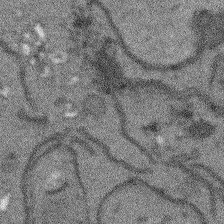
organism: Arabidopsis thaliana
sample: Root tip